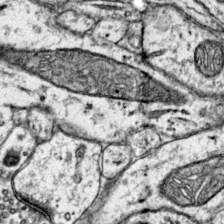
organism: Mouse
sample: Primary visual cortex